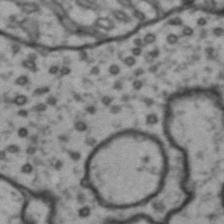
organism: Drosophila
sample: Brain